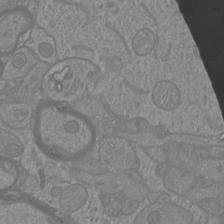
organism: Mouse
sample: Cortical neurons